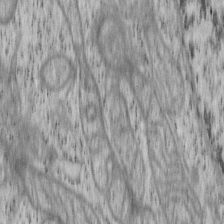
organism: Human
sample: HeLa cells